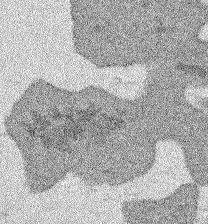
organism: Human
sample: HeLa cells